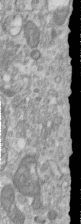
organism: Human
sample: Centriole in RPE cells